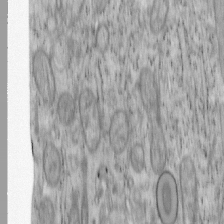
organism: Human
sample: HeLa cells